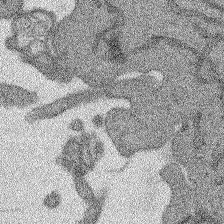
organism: Human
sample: HeLa cells